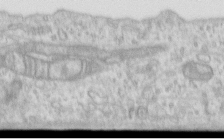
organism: Human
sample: Centriole in RPE cells